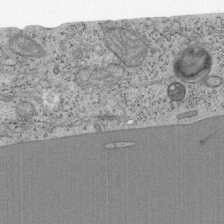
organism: Human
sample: HeLa cells